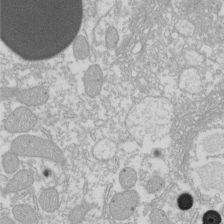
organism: Xenopus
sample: Cilia; centrioles in frog embryo cells